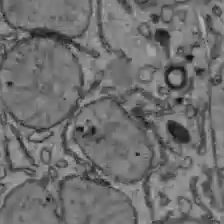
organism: C57BL Mouse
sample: Liver